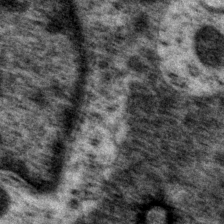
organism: P. pacificus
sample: Pharynx